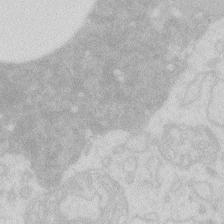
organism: Zebrafish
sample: Macrophage